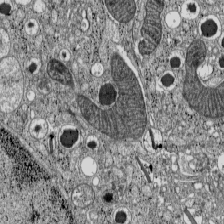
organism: C57BL Mouse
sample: Pancreatic islet